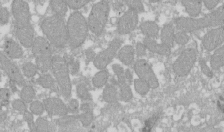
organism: Xenopus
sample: Cilia; centrioles in frog embryo cells